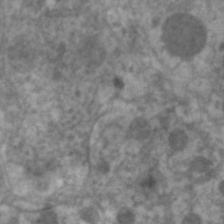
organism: C. elegans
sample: Pharynx